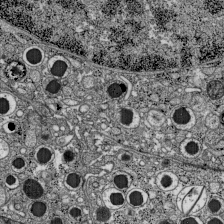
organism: C57BL Mouse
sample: Pancreatic islet